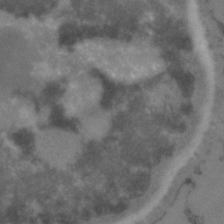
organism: C. elegans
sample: C. elegans embryo